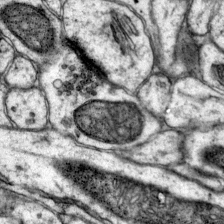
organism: Mouse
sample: Primary visual cortex